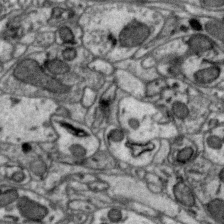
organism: Zebra finch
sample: Brain